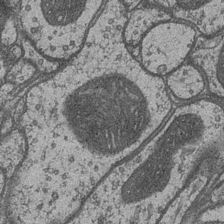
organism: Drosophila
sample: Optic medulla